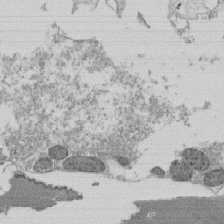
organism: Tetrahymena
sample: Cilia in tetrahymena